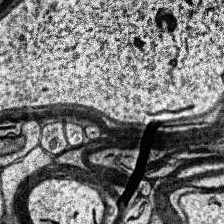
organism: Human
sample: Temporal Lobe